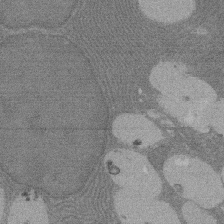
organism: Rat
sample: Salivary granule